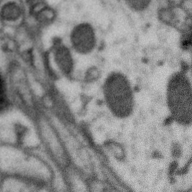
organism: Zebra finch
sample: Brain